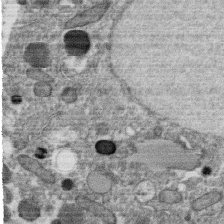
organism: C. elegans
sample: C. elegans oocyte; sperm cells